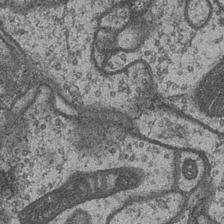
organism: Drosophila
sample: Optic medulla